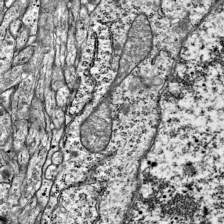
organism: Mouse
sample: Visual Cortex